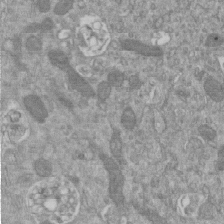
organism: Mouse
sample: ED-1 cell nuclei; centrioles